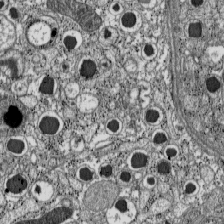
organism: C57BL Mouse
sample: Pancreatic islet